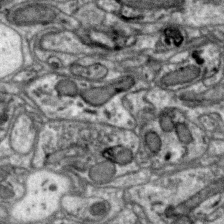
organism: Zebra finch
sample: Brain